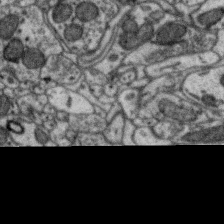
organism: Zebra finch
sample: Brain